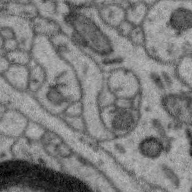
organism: Zebra finch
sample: Brain